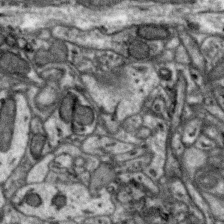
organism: Zebra finch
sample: Brain